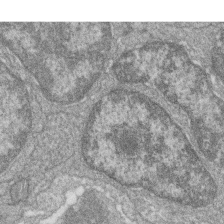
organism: Zebrafish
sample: Cilia; retinal pigment epithelium